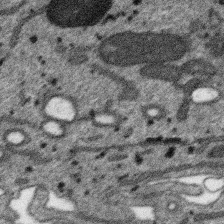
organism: Human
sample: Lung epithelial cells infected with SARS-CoV-2